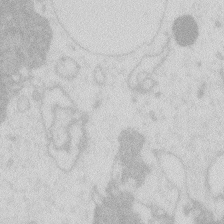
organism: Zebrafish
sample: Macrophage